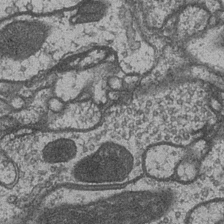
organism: Drosophila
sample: Optic medulla